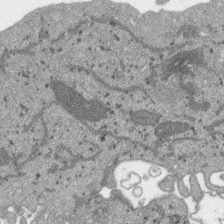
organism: Human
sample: Lung epithelial cells infected with SARS-CoV-2